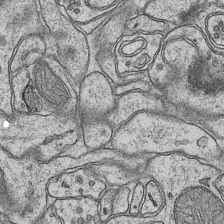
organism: Mouse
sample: CA1 Hippocampus